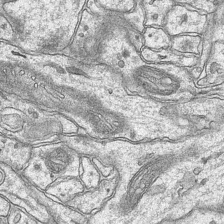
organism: Mouse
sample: CA1 Hippocampus